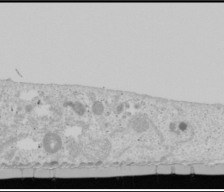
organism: Human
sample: Mitochondria in U2OS cells